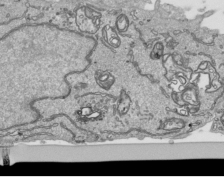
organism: Human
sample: Mitochondria in HCT116 cells